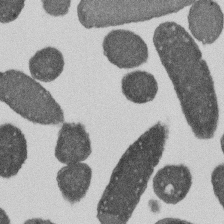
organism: E. coli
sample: Bacterial nucleoid